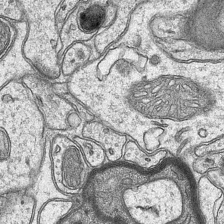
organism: Mouse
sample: CA1 Hippocampus